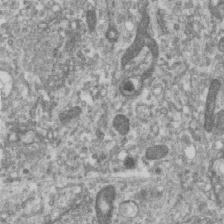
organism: Human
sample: Centriole in RPE cells